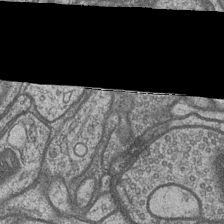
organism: Drosophila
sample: Optic medulla